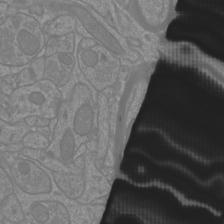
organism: Mouse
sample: Cortical neurons